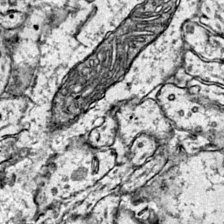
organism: Mouse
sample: Primary visual cortex